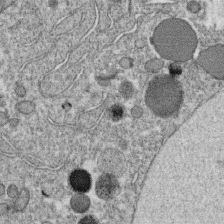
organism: C. elegans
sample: C. elegans oocyte; sperm cells